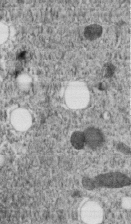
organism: C. elegans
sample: C. elegans embryo early stage